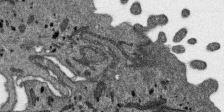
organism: Human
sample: Lung epithelial cells, uninfected (mock) control